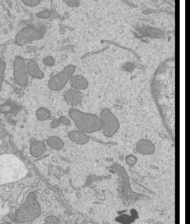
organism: Mouse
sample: Cilia; mouse epididymis